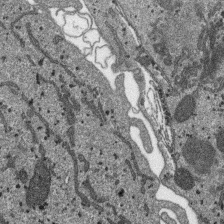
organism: Human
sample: Lung epithelial cells infected with SARS-CoV-2